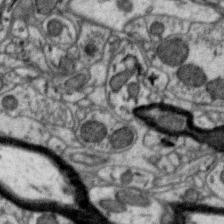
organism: Zebra finch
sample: Brain